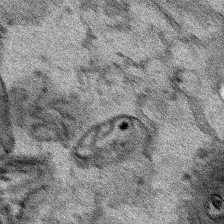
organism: Human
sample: Mitochondria in HCT116 cells